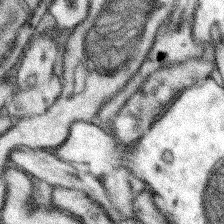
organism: Mouse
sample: Somatosensory cortex neuropil